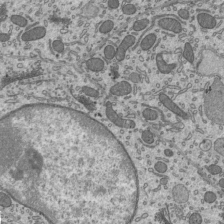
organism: Mouse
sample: Mouse epididymis efferent ductule cilia